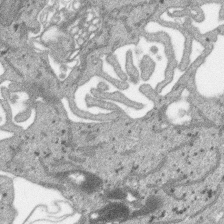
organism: Human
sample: Lung epithelial cells infected with SARS-CoV-2